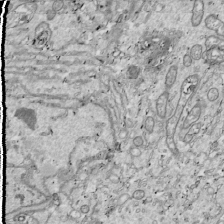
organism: Drosophila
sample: Cell division; meiosis; drosophila spermatocytes